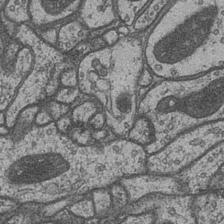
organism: Drosophila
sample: Optic medulla